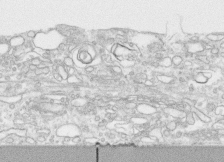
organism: Human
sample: CRL-1474